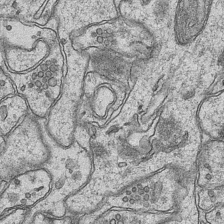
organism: Mouse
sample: CA1 Hippocampus